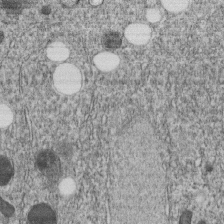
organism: C. elegans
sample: C. elegans embryo early stage